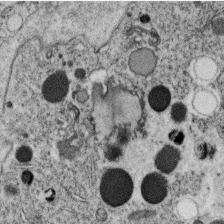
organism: C. elegans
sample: C. elegans oocyte; sperm cells